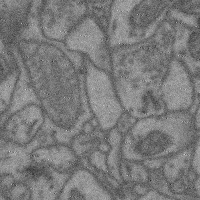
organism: Mouse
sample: Cerebral cortex